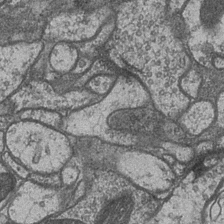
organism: Drosophila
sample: Optic medulla